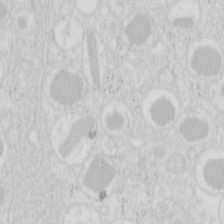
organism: Mouse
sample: Pancreas